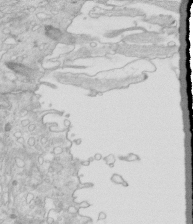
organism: Mouse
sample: Multiciliated cells